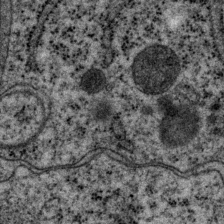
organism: P. pacificus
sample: Pharynx